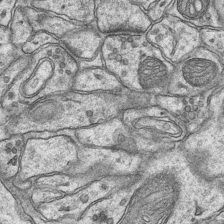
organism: Mouse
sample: CA1 Hippocampus